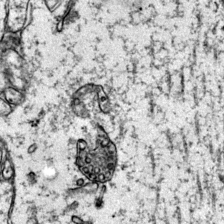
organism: Mouse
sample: Primary visual cortex